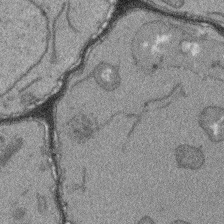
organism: Arabidopsis thaliana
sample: Root tip